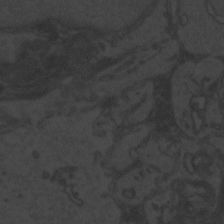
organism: Zebrafish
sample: Macrophage infected with Toxoplasma gondii